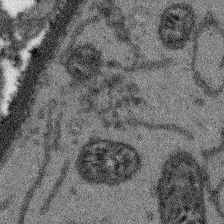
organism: Arabidopsis thaliana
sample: Root tip